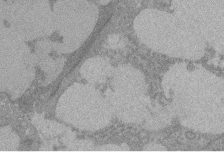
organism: Rat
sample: Salivary granule